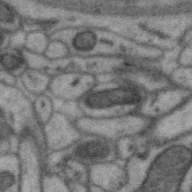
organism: Zebra finch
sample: Brain